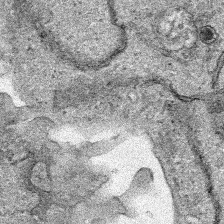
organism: Human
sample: Mitochondria in HCT116 cells